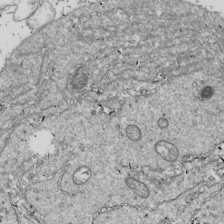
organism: Drosophila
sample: Cell division; meiosis; drosophila spermatocytes